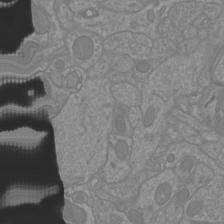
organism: Mouse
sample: Cortical neurons